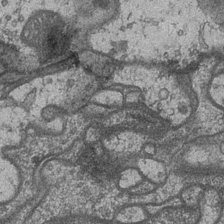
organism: Drosophila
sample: Optic medulla